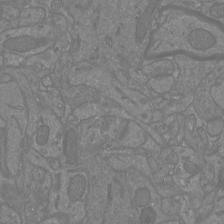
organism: Mouse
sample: Cortical neurons